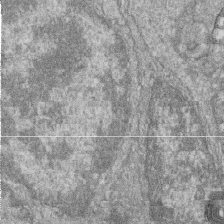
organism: Zebrafish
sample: Cilia; retinal pigment epithelium